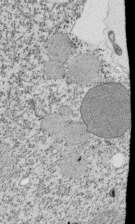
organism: Tetrahymena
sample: Cilia in tetrahymena